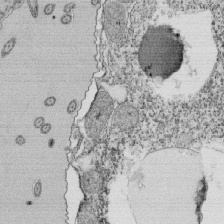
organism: Tetrahymena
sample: Cilia in tetrahymena